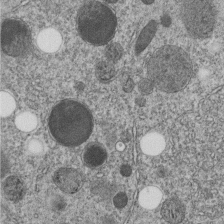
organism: C. elegans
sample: C. elegans embryo early stage